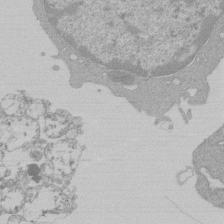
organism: Mouse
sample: Activated Pmel transgenic CD8+ T Cells